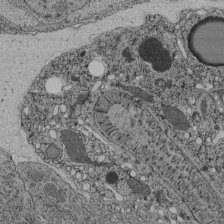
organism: C. elegans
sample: C. elegans pharynx